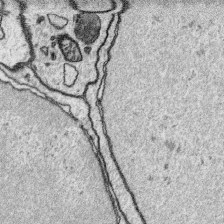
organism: Platynereis dumerilii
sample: Parapodia